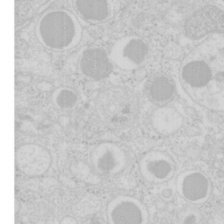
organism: Mouse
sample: Pancreas